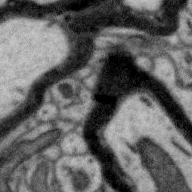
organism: Zebra finch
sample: Brain